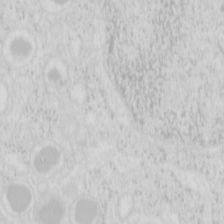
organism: Mouse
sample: Pancreas